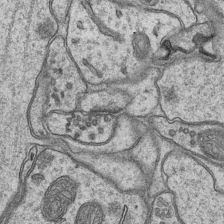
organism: Mouse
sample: CA1 Hippocampus